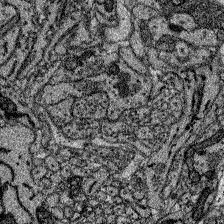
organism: Zebrafish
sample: Larval olfactory bulb